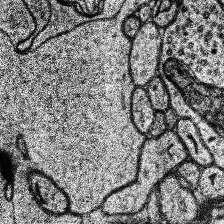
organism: Human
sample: Temporal Lobe